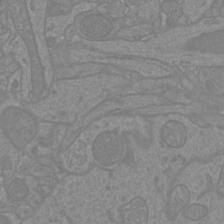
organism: Mouse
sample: Cortical neurons